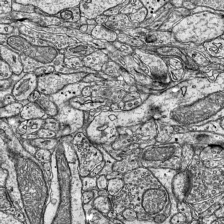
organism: Mouse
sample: Visual Cortex